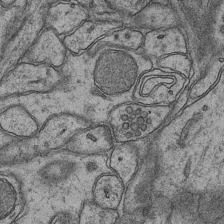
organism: Mouse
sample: CA1 Hippocampus